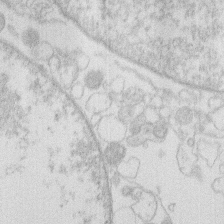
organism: Human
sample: Macrophage cells